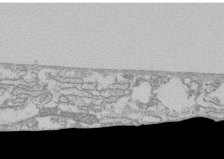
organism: Human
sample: CRL-1474